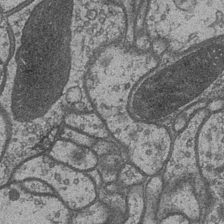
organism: Drosophila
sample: Optic medulla